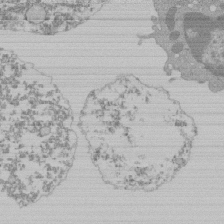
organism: Mouse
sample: Activated Pmel transgenic CD8+ T Cells